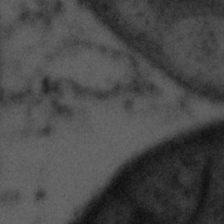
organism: Tuwongella immobilis